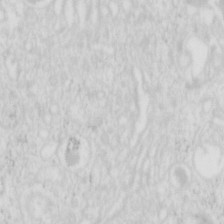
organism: Mouse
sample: Pancreas